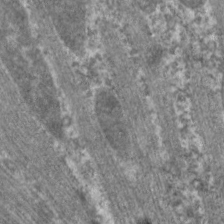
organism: C. elegans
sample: Pharynx